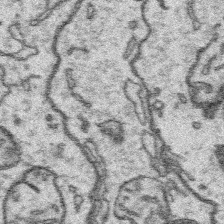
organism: Platynereis dumerilii